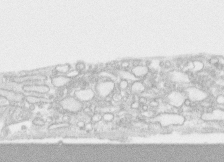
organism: Human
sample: CRL-1474